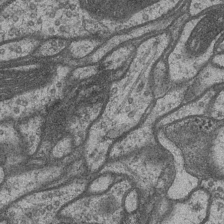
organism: Drosophila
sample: Optic medulla